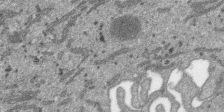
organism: Human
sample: Lung epithelial cells infected with SARS-CoV-2